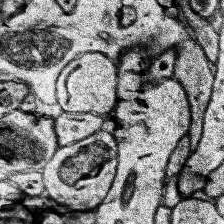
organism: Human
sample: Temporal Lobe